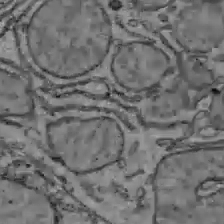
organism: C57BL Mouse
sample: Liver